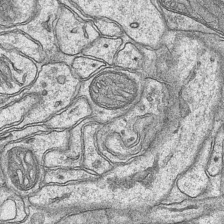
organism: Mouse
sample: CA1 Hippocampus